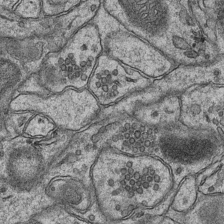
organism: Mouse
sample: CA1 Hippocampus